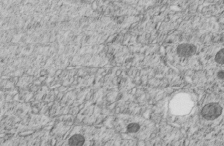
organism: C. elegans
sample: C. elegans embryo early stage